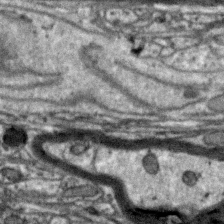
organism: Zebra finch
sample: Brain